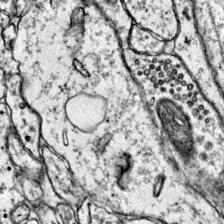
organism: Mouse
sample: Primary visual cortex